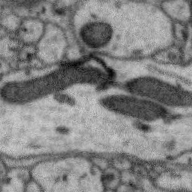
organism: Zebra finch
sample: Brain